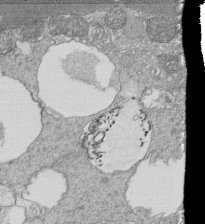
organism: Tetrahymena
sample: Cilia in tetrahymena